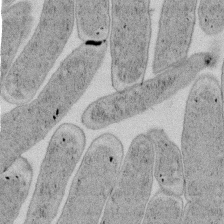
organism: E. coli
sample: Bacterial nucleoid